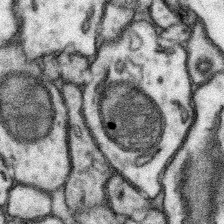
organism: Mouse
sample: Somatosensory cortex neuropil